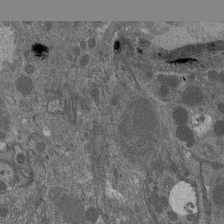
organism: Drosophila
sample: Antenna